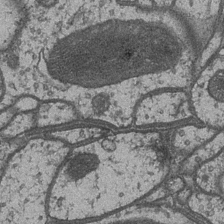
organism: Drosophila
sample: Optic medulla